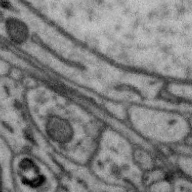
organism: Zebra finch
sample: Brain